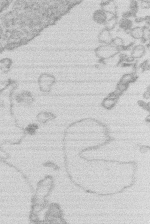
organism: Human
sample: Macrophage cells